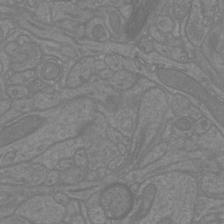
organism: Mouse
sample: Cortical neurons